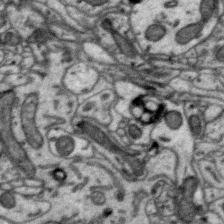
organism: Zebra finch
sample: Brain